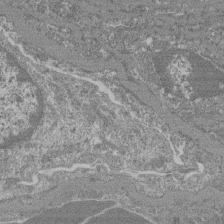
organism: Mouse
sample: Glomerulus